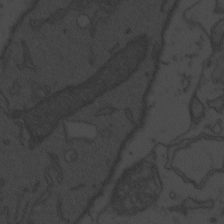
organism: Zebrafish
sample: Macrophage infected with Toxoplasma gondii